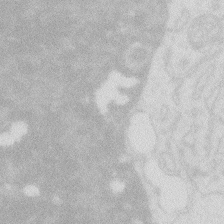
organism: Zebrafish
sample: Macrophage